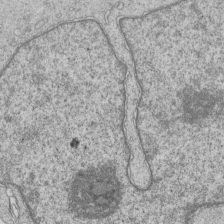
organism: Human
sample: MDA-MB-231 cells